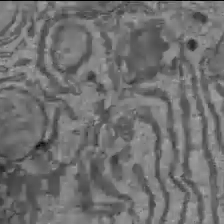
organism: C57BL Mouse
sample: Liver